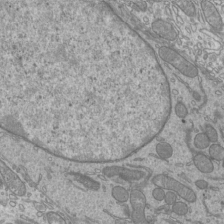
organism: Mouse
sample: Cilia; mouse epididymis